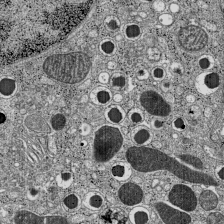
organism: C57BL Mouse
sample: Pancreatic islet